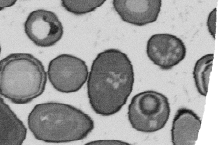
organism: B. subtilis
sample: Bacterial spore